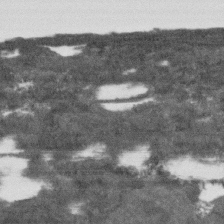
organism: Human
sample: Fibroblast cells